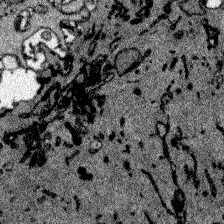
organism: Zebrafish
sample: Larval olfactory bulb